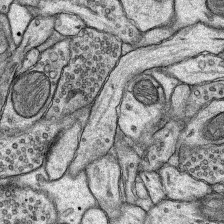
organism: Rat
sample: Hippocampus